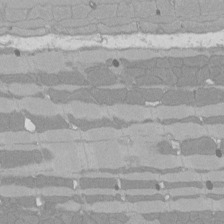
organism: Rat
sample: Left ventricle